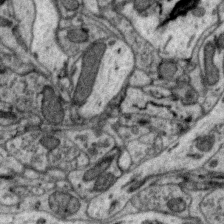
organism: Zebra finch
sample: Brain